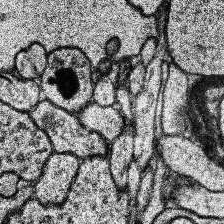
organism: Human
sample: Temporal Lobe